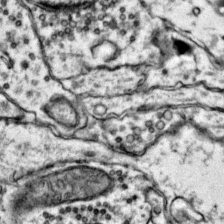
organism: Mouse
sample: Primary visual cortex